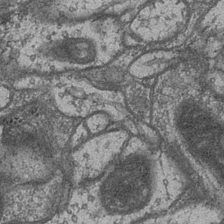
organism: Drosophila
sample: Optic medulla